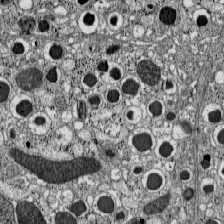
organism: C57BL Mouse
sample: Pancreatic islet